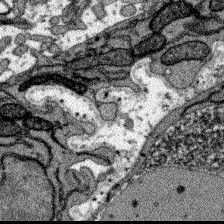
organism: Zebrafish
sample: Larval olfactory bulb